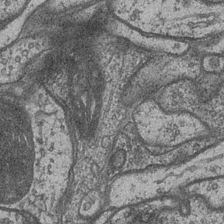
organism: Drosophila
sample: Optic medulla